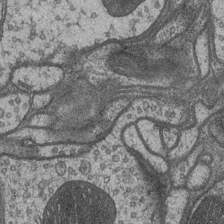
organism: Drosophila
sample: Optic medulla